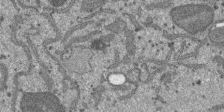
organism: Human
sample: Lung epithelial cells infected with SARS-CoV-2